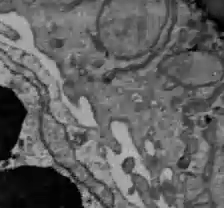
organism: C57BL Mouse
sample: Liver